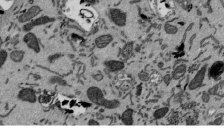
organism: Mouse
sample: ED-1 cell nuclei; centrioles